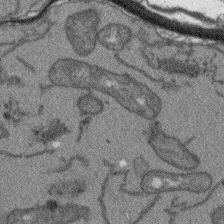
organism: Arabidopsis thaliana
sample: Root tip